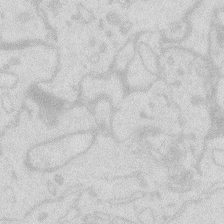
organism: Zebrafish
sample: Macrophage